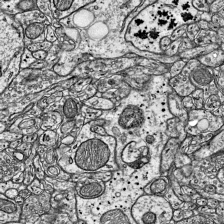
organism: Mouse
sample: Visual Cortex